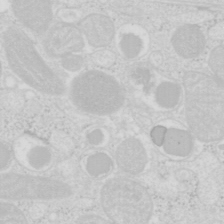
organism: Mouse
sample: Pancreas